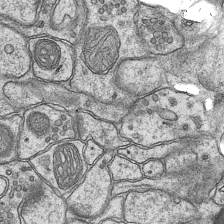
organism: Mouse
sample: CA1 Hippocampus